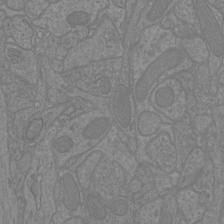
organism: Mouse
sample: Cortical neurons